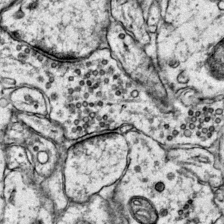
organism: Mouse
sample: Primary visual cortex